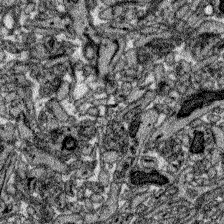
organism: Zebrafish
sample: Larval olfactory bulb